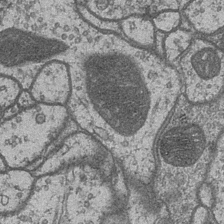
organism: Drosophila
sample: Optic medulla